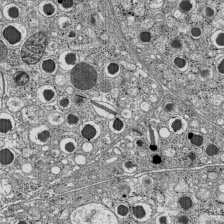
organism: C57BL Mouse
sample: Pancreatic islet